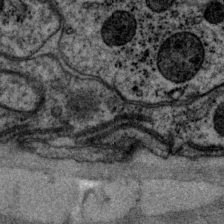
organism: P. pacificus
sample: Pharynx